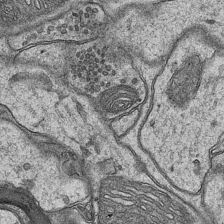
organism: Mouse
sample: CA1 Hippocampus